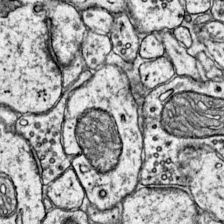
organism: Mouse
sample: Primary visual cortex